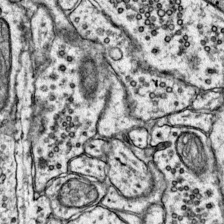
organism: Mouse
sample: Primary visual cortex